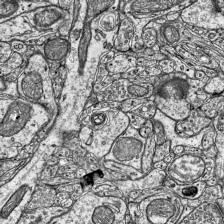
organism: Mouse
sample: Visual Cortex